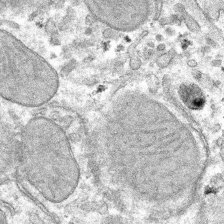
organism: Mouse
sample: Mouse hepatocytes